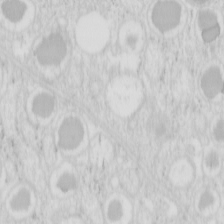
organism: Mouse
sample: Pancreas